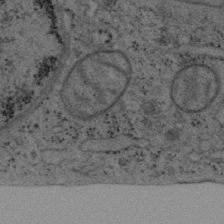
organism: Human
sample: HeLa cells